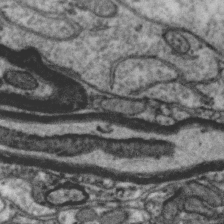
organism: Zebra finch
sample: Brain